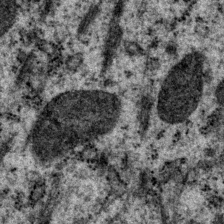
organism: P. pacificus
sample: Pharynx